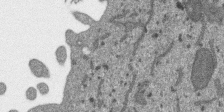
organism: Human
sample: Lung epithelial cells infected with SARS-CoV-2